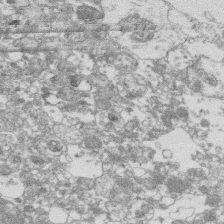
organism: Human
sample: HeLa cell HIV synapse